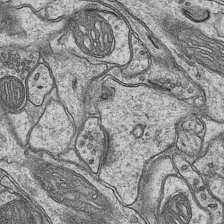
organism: Mouse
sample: CA1 Hippocampus